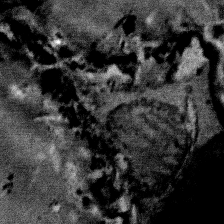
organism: Mouse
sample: Mouse Salivary gland